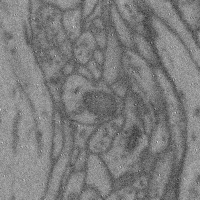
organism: Mouse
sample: Cerebral cortex